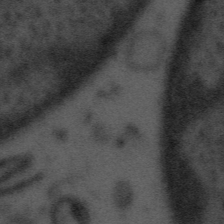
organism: Tuwongella immobilis